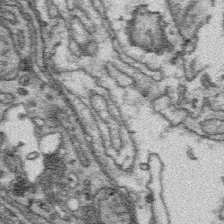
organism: Platynereis dumerilii